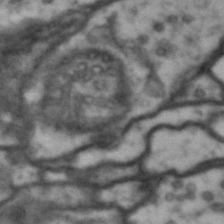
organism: Drosophila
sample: Brain